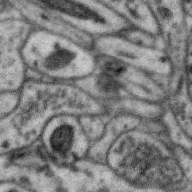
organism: Zebra finch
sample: Brain